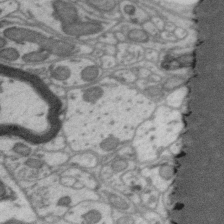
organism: Zebra finch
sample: Brain